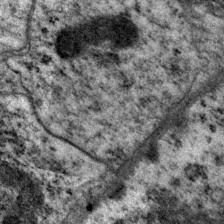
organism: P. pacificus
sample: Pharynx